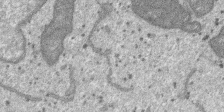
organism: Human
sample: Lung epithelial cells infected with SARS-CoV-2